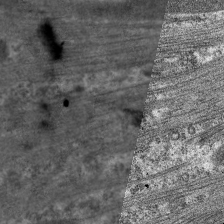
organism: C. elegans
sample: Pharynx